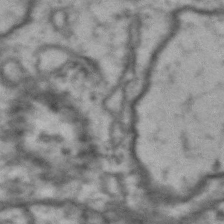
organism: Drosophila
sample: Brain